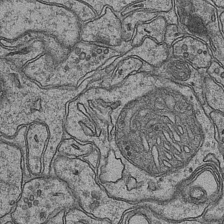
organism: Mouse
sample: CA1 Hippocampus